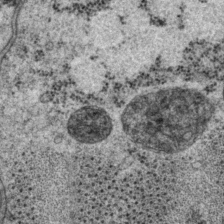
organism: P. pacificus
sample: Pharynx